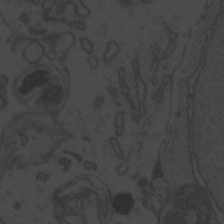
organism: Zebrafish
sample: Macrophage infected with Toxoplasma gondii